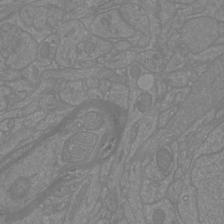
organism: Mouse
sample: Cortical neurons